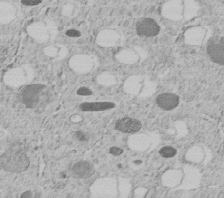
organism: C. elegans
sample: C. elegans embryo early stage